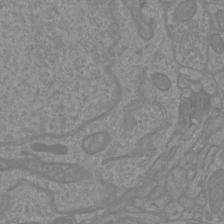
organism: Mouse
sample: Cortical neurons